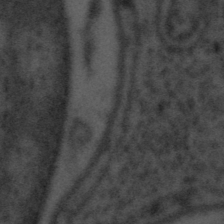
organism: Tuwongella immobilis